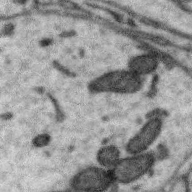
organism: Zebra finch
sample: Brain